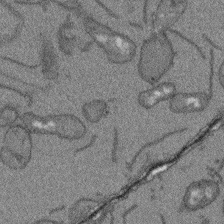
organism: Arabidopsis thaliana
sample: Root tip